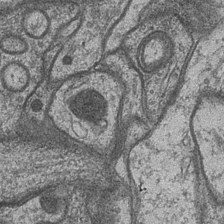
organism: Drosophila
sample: Optic medulla